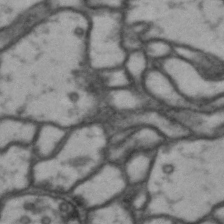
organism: Drosophila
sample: Brain